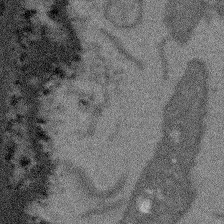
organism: Arabidopsis thaliana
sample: Root tip